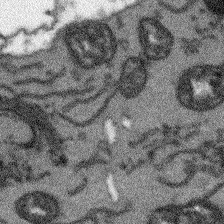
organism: Arabidopsis thaliana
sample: Root tip